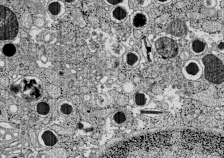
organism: C57BL Mouse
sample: Pancreatic islet